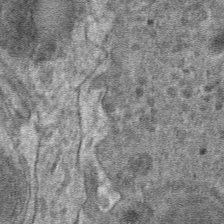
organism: Mouse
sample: Mouse hepatocytes